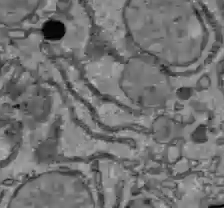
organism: C57BL Mouse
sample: Liver